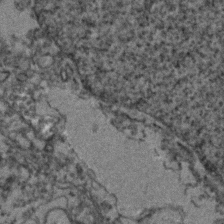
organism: Zebrafish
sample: Zebrafish embryo